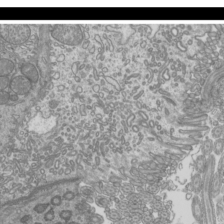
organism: Mouse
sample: Cilia; mouse epididymis